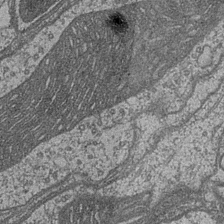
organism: Drosophila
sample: Optic medulla